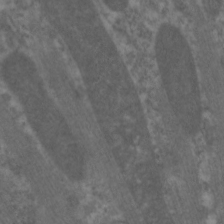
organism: C. elegans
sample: Pharynx